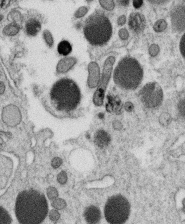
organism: C. elegans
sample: C. elegans oocyte; sperm cells